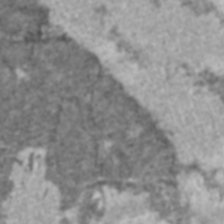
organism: C57BL Mouse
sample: Heart